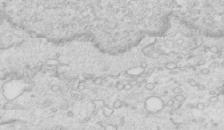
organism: Mouse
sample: Multiciliated cells